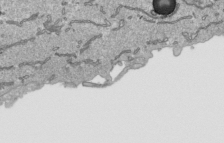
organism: Human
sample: Mitochondria in HCT116 cells